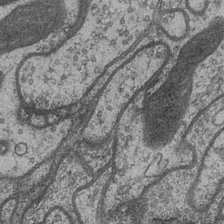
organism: Drosophila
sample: Optic medulla